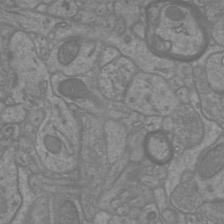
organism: Mouse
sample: Cortical neurons